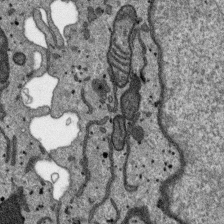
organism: Human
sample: Lung epithelial cells, uninfected (mock) control